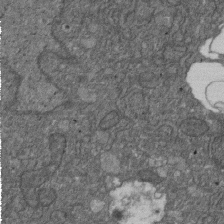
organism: Drosophila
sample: Nephrocyte